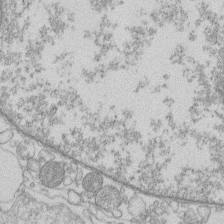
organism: Human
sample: Macrophage cells